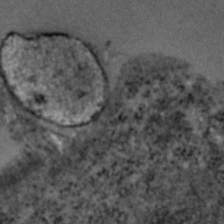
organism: Zebrafish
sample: Zebrafish embryo